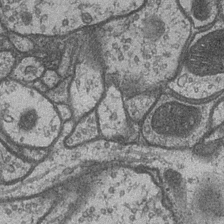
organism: Drosophila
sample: Optic medulla